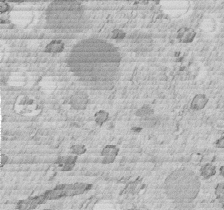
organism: C. elegans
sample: C. elegans embryo early stage